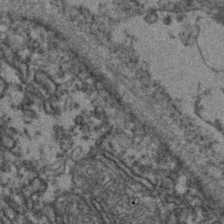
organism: Zebrafish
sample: Zebrafish embryo